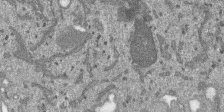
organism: Human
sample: Lung epithelial cells infected with SARS-CoV-2